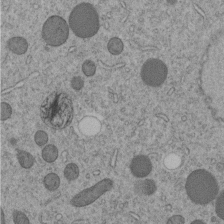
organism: C. elegans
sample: C. elegans embryo early stage